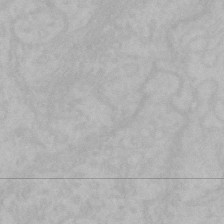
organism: Mouse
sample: Choroid plexus